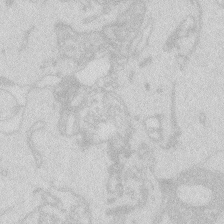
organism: Zebrafish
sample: Macrophage